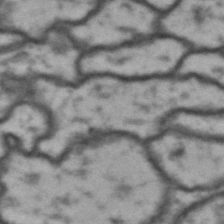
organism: Drosophila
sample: Brain